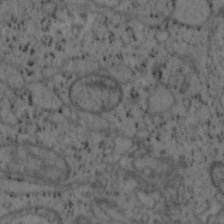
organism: Human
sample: HeLa cells